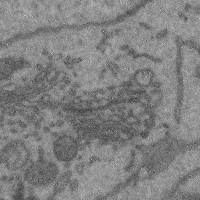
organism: Mouse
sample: Cerebral cortex